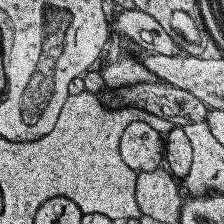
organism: Human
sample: Temporal Lobe